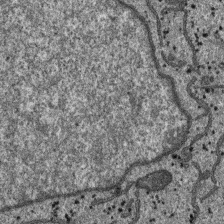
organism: Human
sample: Lung epithelial cells infected with SARS-CoV-2